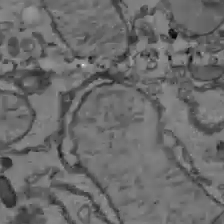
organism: C57BL Mouse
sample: Liver